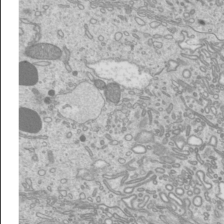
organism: Mouse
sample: Cilia; mouse epididymis